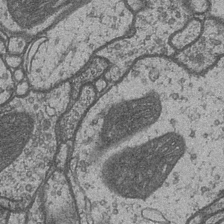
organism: Drosophila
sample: Optic medulla